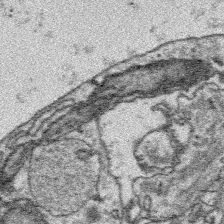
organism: Platynereis dumerilii